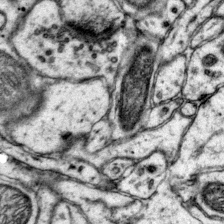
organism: Mouse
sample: Primary visual cortex